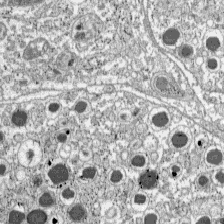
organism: C57BL Mouse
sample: Pancreatic islet